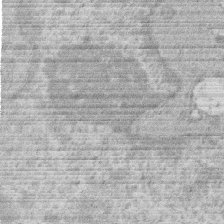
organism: Human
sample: Macrophage cells